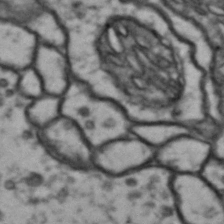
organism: Drosophila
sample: Brain